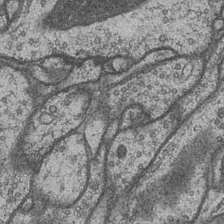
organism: Drosophila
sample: Optic medulla